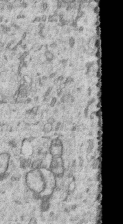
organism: Human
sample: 1205lu cells